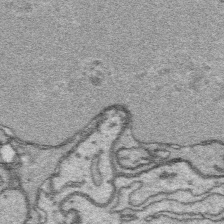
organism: Platynereis dumerilii